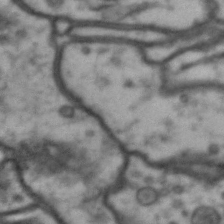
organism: Drosophila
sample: Brain